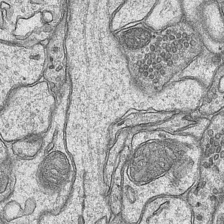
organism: Mouse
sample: CA1 Hippocampus